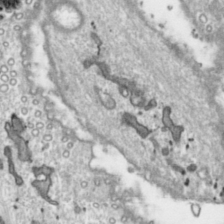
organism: Toxoplasma gondii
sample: Parasites in a vacuole inside a host cell